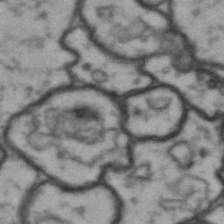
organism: Drosophila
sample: Brain